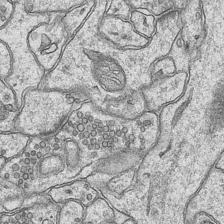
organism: Mouse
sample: CA1 Hippocampus